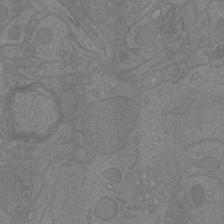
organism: Mouse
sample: Cortical neurons